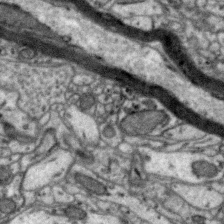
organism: Zebra finch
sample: Brain